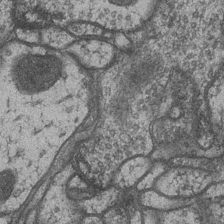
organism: Drosophila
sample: Optic medulla